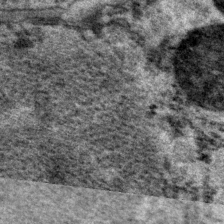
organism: P. pacificus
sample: Pharynx